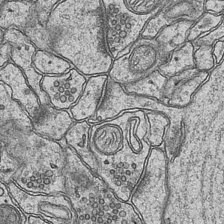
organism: Mouse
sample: CA1 Hippocampus